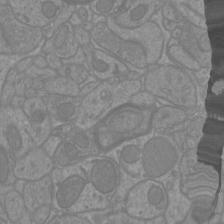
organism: Mouse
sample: Cortical neurons